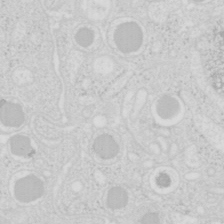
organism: Mouse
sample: Pancreas